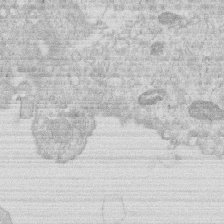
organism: Human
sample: Macrophage cells